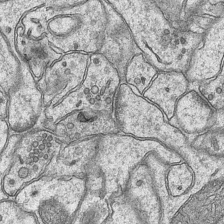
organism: Mouse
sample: CA1 Hippocampus